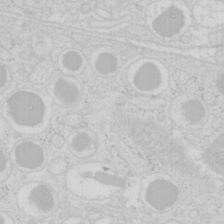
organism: Mouse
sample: Pancreas